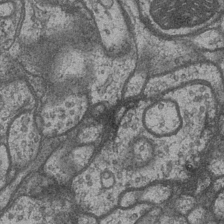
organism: Drosophila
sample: Optic medulla